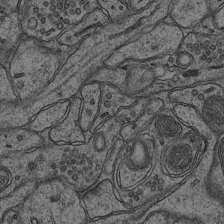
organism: Mouse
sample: CA1 Hippocampus